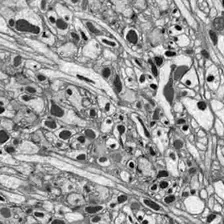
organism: Drosophila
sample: Optic lobe